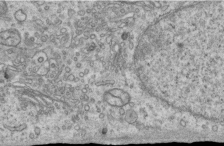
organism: Human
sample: Centriole in RPE cells